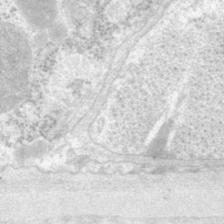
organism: P. pacificus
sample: Pharynx